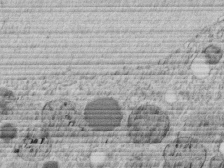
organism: C. elegans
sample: C. elegans embryo early stage